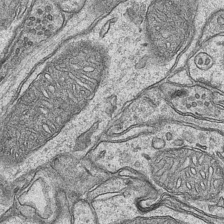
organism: Mouse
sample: CA1 Hippocampus